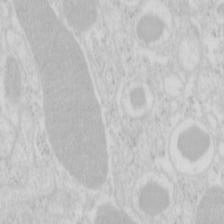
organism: Mouse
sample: Pancreas